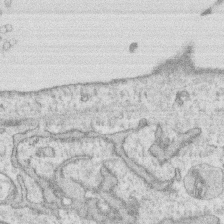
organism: Human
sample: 1205lu cells